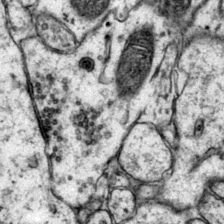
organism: Mouse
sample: Primary visual cortex